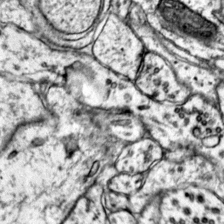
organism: Mouse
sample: Primary visual cortex